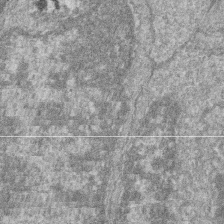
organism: Zebrafish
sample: Cilia; retinal pigment epithelium